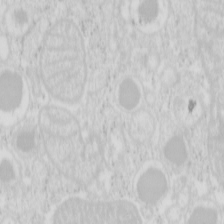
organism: Mouse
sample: Pancreas